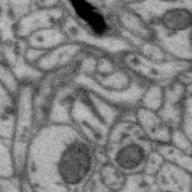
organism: Zebra finch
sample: Brain